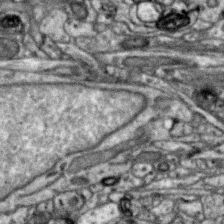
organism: Zebra finch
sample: Brain